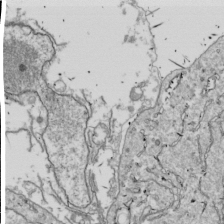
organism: Drosophila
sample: Cell division; meiosis; drosophila spermatocytes